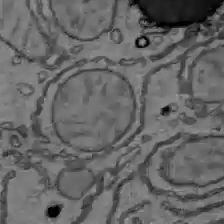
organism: C57BL Mouse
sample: Liver